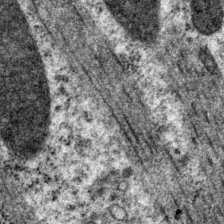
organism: P. pacificus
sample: Pharynx